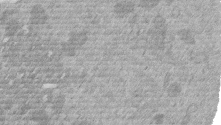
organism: Mouse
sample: Dividing mouse embryo 1 cell stage